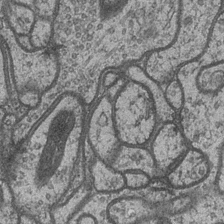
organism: Drosophila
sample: Optic medulla